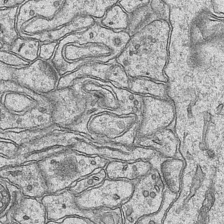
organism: Mouse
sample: CA1 Hippocampus